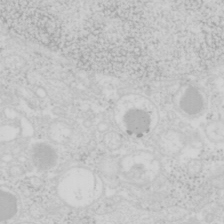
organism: Mouse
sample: Pancreas